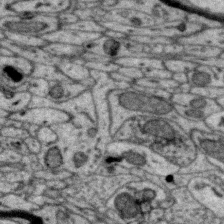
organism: Zebra finch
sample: Brain